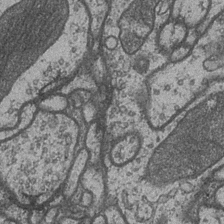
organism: Drosophila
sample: Optic medulla